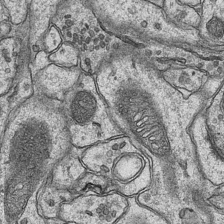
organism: Mouse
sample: CA1 Hippocampus